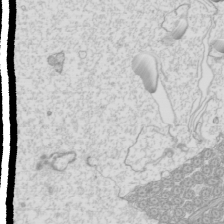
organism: Mouse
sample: Cilia; mouse epididymis